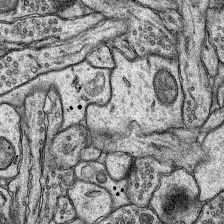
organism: Rat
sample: Hippocampus